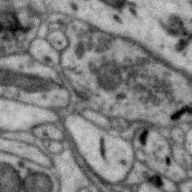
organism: Zebra finch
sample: Brain